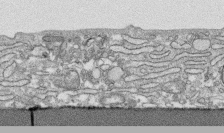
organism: Human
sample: CRL-1474